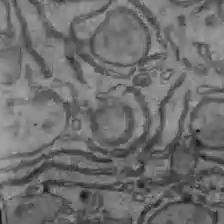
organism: C57BL Mouse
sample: Liver